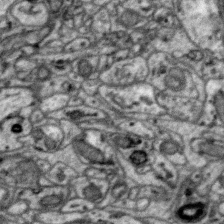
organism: Zebra finch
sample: Brain